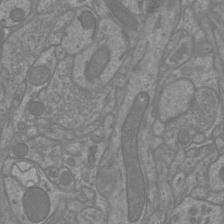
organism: Mouse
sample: Cortical neurons